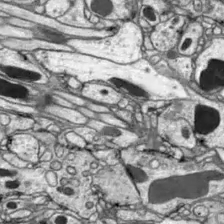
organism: Drosophila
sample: Optic lobe